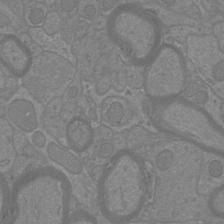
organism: Mouse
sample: Cortical neurons